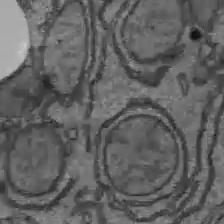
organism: C57BL Mouse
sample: Liver